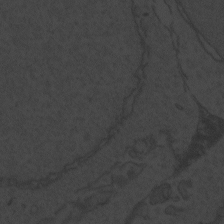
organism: Zebrafish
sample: Macrophage infected with Toxoplasma gondii